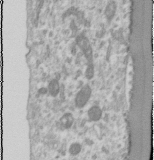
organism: Human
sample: Cilia; basal body in RPE cells